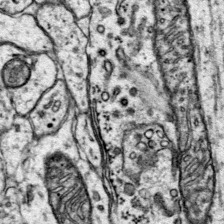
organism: Mouse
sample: Primary visual cortex